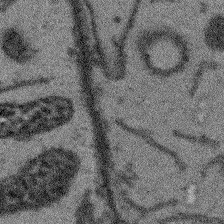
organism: Arabidopsis thaliana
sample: Root tip